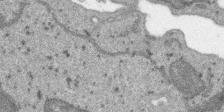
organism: Human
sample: Lung epithelial cells infected with SARS-CoV-2